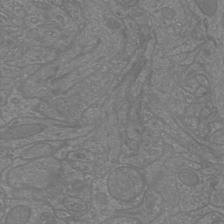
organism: Mouse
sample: Cortical neurons